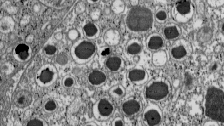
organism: C57BL Mouse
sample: Pancreatic islet